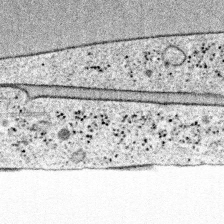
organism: Human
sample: HeLa cells